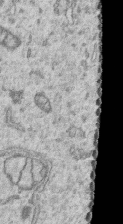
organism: Human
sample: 1205lu cells